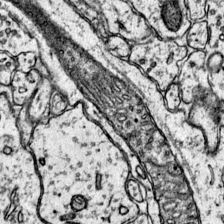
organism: Mouse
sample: Primary visual cortex